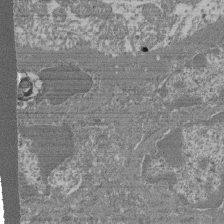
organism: Mouse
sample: Glomerulus